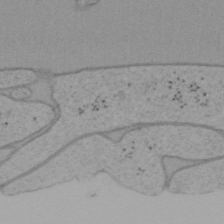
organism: Human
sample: HeLa cells